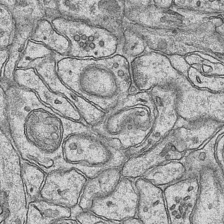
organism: Mouse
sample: CA1 Hippocampus